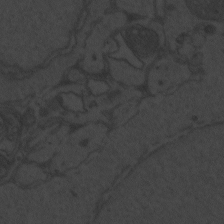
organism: Zebrafish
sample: Macrophage infected with Toxoplasma gondii